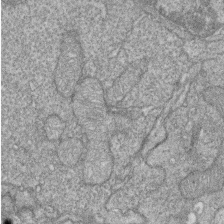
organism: Zebrafish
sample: Cilia; retinal pigment epithelium